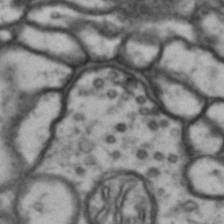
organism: Drosophila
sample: Brain